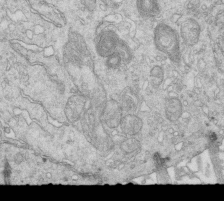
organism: Mouse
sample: Multiciliated cells